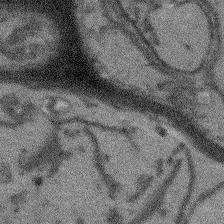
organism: Arabidopsis thaliana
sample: Root tip